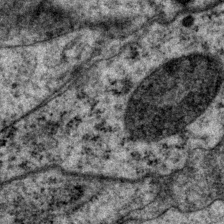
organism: P. pacificus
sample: Pharynx